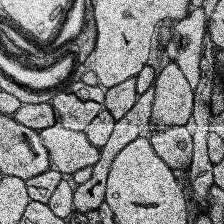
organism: Human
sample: Temporal Lobe